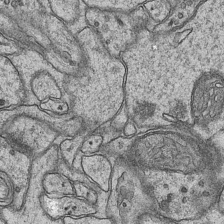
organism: Mouse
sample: CA1 Hippocampus